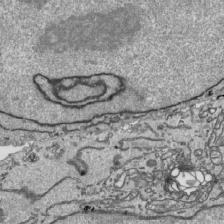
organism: Human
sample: Mitochondria in HCT116 cells